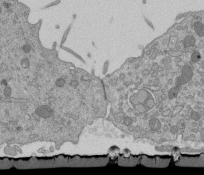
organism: Mouse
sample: ED-1 cell nuclei; centrioles